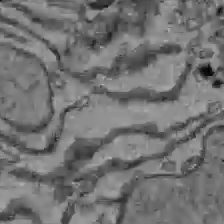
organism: C57BL Mouse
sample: Liver